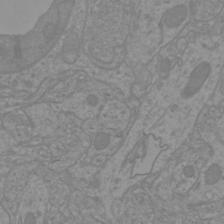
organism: Mouse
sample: Cortical neurons